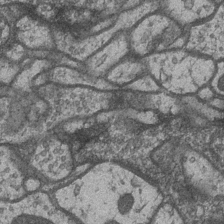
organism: Drosophila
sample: Optic medulla